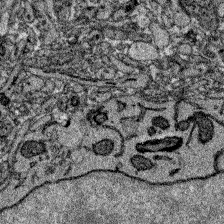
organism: Zebrafish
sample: Larval olfactory bulb